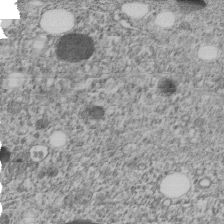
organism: C. elegans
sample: C. elegans embryo early stage